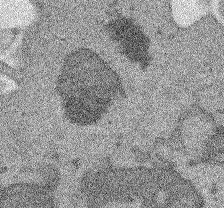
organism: Human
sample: HeLa cells